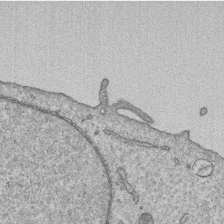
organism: Human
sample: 1205lu cells